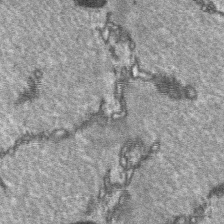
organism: C57BL Mouse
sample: Soleus